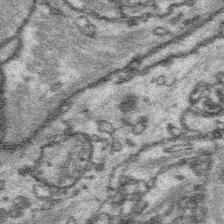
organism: Platynereis dumerilii